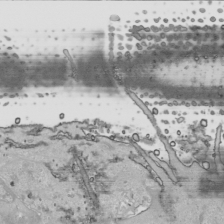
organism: Human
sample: Mitochondria in HCT116 cells